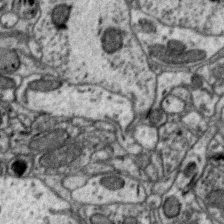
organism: Zebra finch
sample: Brain